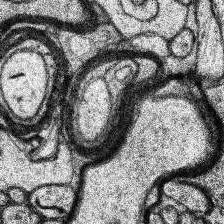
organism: Human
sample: Temporal Lobe